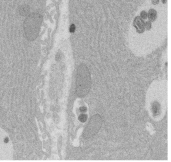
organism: Rat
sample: Salivary granule